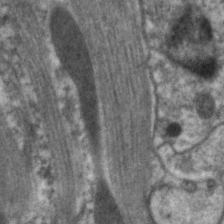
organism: C. elegans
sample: Pharynx